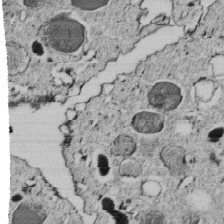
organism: C. elegans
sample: C. elegans embryo early stage